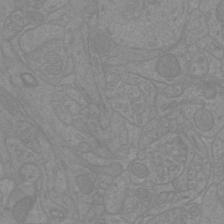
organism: Mouse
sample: Cortical neurons